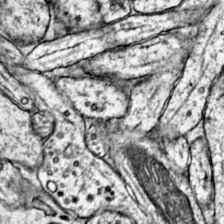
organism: Mouse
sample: Primary visual cortex